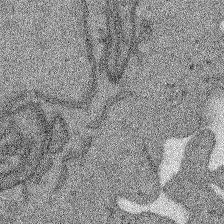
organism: Human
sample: HeLa cells